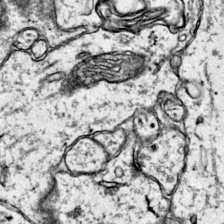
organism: Mouse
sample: Primary visual cortex